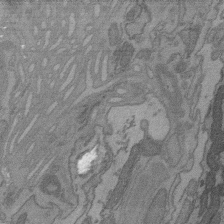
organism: C. elegans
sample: AFD neurons C. elegans